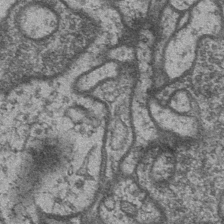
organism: Drosophila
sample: Optic medulla